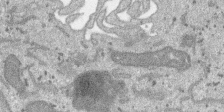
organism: Human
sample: Lung epithelial cells infected with SARS-CoV-2